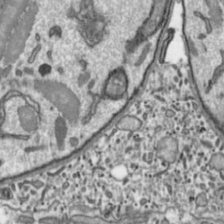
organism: Toxoplasma gondii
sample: Parasites in a vacuole inside a host cell